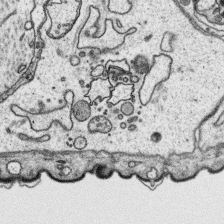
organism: Platynereis dumerilii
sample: Parapodia